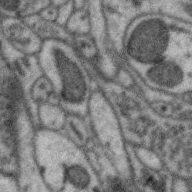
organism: Zebra finch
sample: Brain